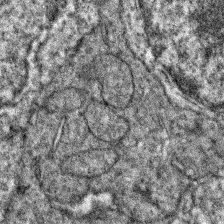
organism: Zebrafish